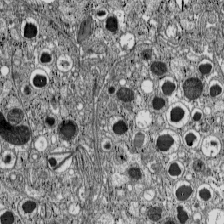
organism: C57BL Mouse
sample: Pancreatic islet